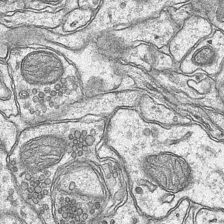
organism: Mouse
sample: CA1 Hippocampus